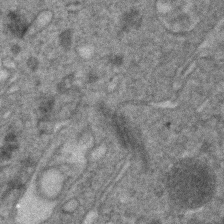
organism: Human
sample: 1205lu cells